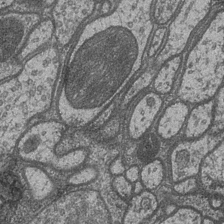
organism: Drosophila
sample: Optic medulla